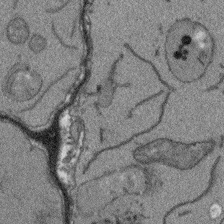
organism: Arabidopsis thaliana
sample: Root tip